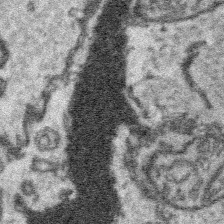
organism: Platynereis dumerilii